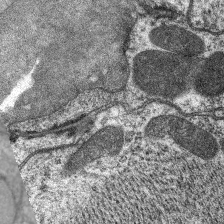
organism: C. elegans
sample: Pharynx